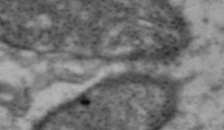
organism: Drosophila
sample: Brain